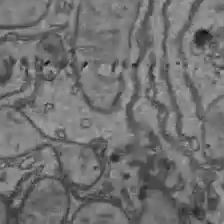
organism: C57BL Mouse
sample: Liver